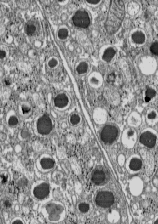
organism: C57BL Mouse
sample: Pancreatic islet